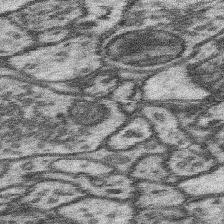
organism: Mouse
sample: Somatosensory cortex neuropil